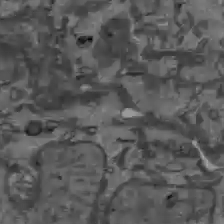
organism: C57BL Mouse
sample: Liver